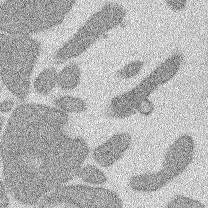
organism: Human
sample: HeLa cells